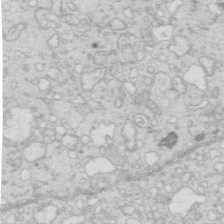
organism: Mouse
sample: Multiciliated cells